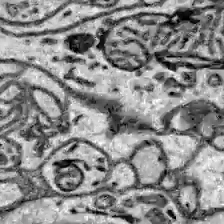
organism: Zebrafish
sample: Brain